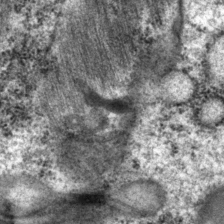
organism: P. pacificus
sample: Pharynx